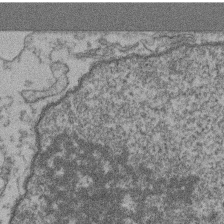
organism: Mouse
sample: T cell stromal cell synapse